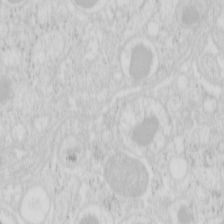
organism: Mouse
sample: Pancreas